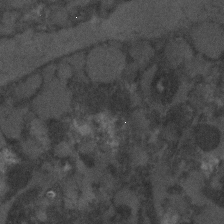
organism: C. elegans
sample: C. elegans embryo